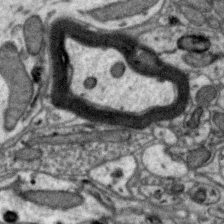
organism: Zebra finch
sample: Brain